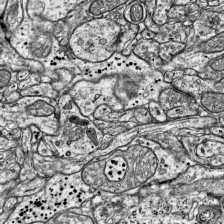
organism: Mouse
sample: Visual Cortex